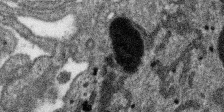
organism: Human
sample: Lung epithelial cells infected with SARS-CoV-2